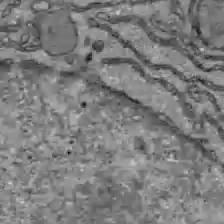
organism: C57BL Mouse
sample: Liver